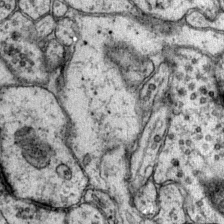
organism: Mouse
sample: Primary visual cortex